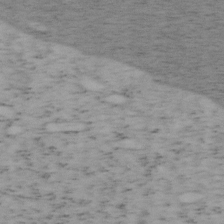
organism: Mouse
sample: OT-I killer T cells with ID8 ovarian cancer cells